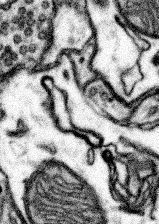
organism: Mouse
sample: Somatosensory cortex neuropil